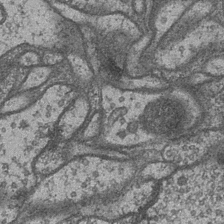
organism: Drosophila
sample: Optic medulla